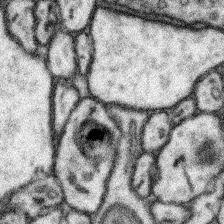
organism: Mouse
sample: Somatosensory cortex neuropil